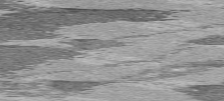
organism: C57BL Mouse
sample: Heart